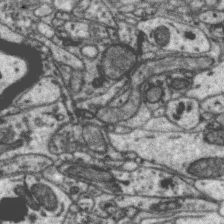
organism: Zebra finch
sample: Brain